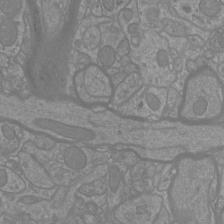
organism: Mouse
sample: Cortical neurons